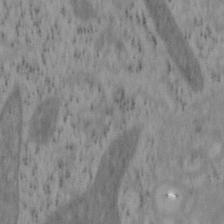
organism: Mouse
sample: OT-I killer T cells with ID8 ovarian cancer cells